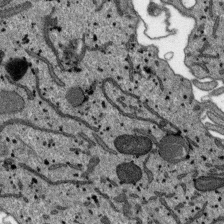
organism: Human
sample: Lung epithelial cells, uninfected (mock) control